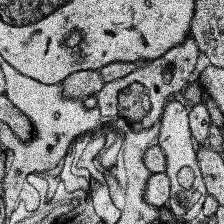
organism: Human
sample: Temporal Lobe